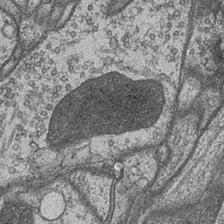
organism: Drosophila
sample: Optic medulla